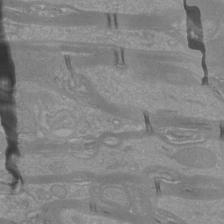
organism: Mouse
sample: Cortical neurons